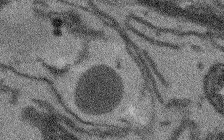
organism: Arabidopsis thaliana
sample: Root tip